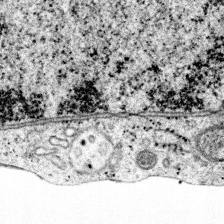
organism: Human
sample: HeLa cells